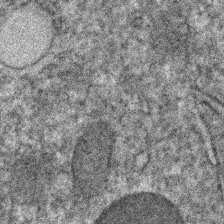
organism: C. elegans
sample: C. elegans embryo